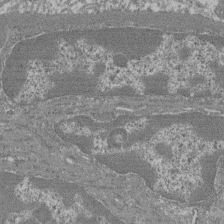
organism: Mouse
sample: Glomerulus